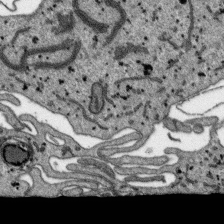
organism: Human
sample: Lung epithelial cells, uninfected (mock) control